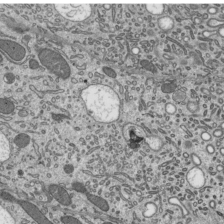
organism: Mouse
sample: Mouse epididymis efferent ductule cilia